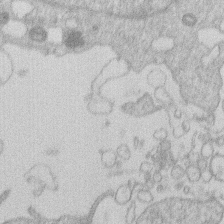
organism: Human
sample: Macrophage cells